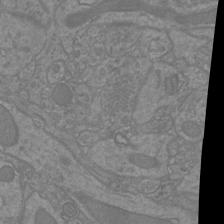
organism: Mouse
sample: Cortical neurons